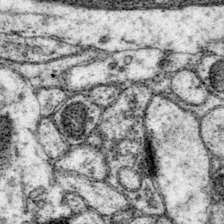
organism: Mouse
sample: Primary visual cortex